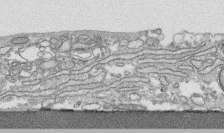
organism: Human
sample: CRL-1474